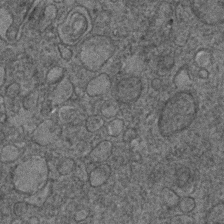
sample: Trachea